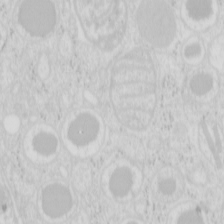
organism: Mouse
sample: Pancreas